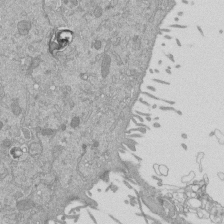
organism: Mouse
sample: ED-1 cell nuclei; centrioles